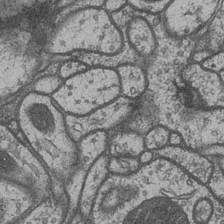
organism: Drosophila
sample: Optic medulla